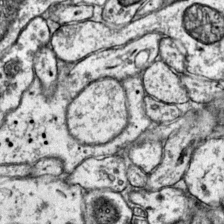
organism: Mouse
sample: Primary visual cortex